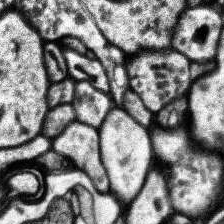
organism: Human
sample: Temporal Lobe